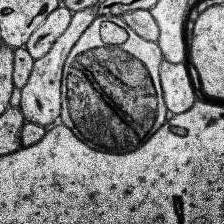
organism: Human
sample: Temporal Lobe